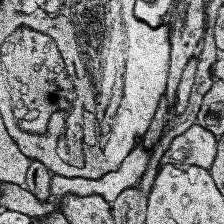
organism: Human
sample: Temporal Lobe